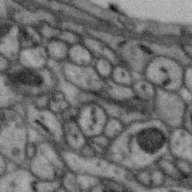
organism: Zebra finch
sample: Brain